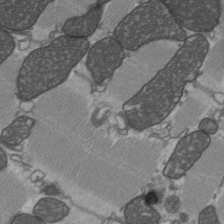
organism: C57BL Mouse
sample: Heart